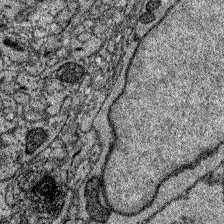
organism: Zebrafish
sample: Larval olfactory bulb